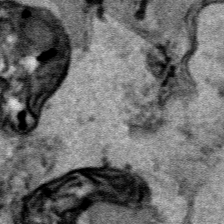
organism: Human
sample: Mitochondria in HCT116 cells